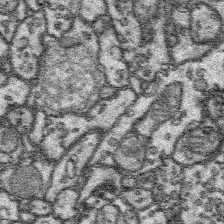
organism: Platynereis dumerilii